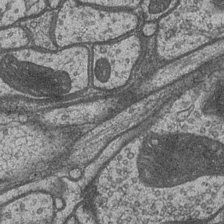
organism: Drosophila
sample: Optic medulla